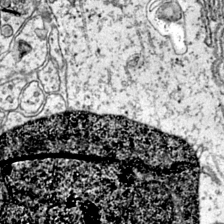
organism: Mouse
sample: Primary visual cortex